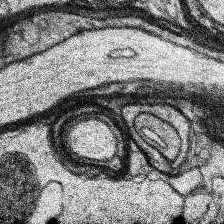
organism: Human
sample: Temporal Lobe